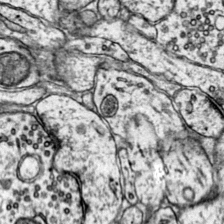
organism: Mouse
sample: Primary visual cortex